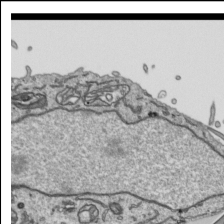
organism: Human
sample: Mitochondria in HCT116 cells